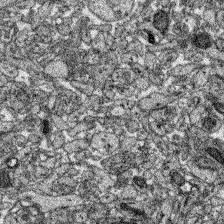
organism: Zebrafish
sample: Larval olfactory bulb